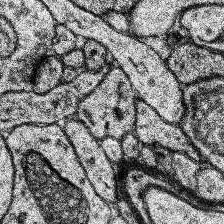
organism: Human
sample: Temporal Lobe